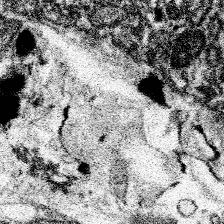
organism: Spongilla lacustris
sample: Neuroid cell